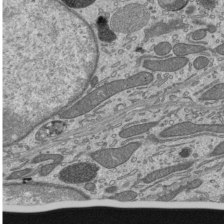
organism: Mouse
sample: Mouse epididymis efferent ductule cilia